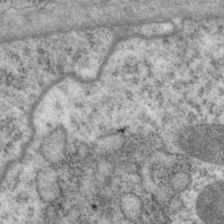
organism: P. pacificus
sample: Pharynx